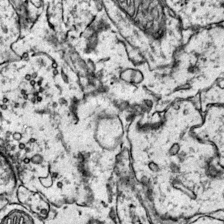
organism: Mouse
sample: Primary visual cortex